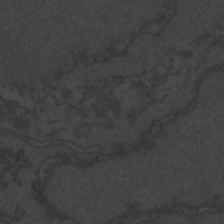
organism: Zebrafish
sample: Macrophage infected with Toxoplasma gondii